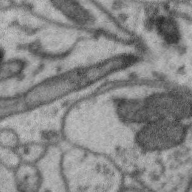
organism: Zebra finch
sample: Brain